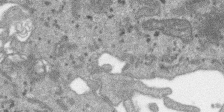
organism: Human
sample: Lung epithelial cells infected with SARS-CoV-2